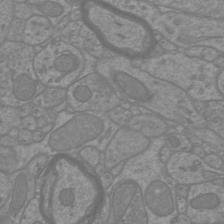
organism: Mouse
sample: Cortical neurons